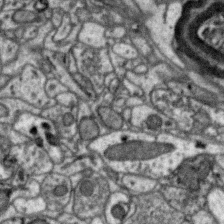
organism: Zebra finch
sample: Brain